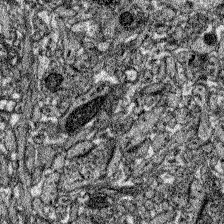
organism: Zebrafish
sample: Larval olfactory bulb